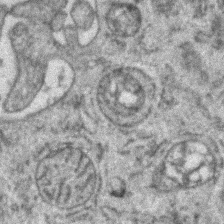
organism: Zebrafish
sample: Zebrafish embryo